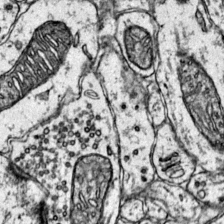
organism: Mouse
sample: Primary visual cortex